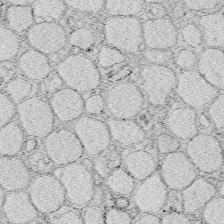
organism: Zebrafish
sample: Whole-Brain